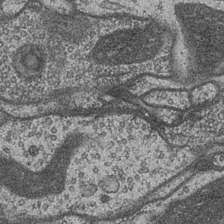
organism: Drosophila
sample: Optic medulla